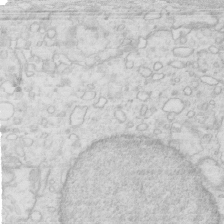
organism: Mouse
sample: Multiciliated cells